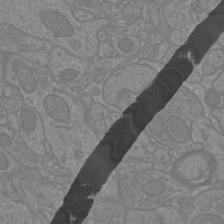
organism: Mouse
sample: Cortical neurons